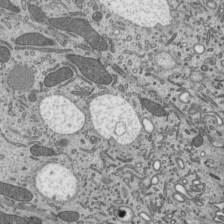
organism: Mouse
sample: Mouse epididymis efferent ductule cilia